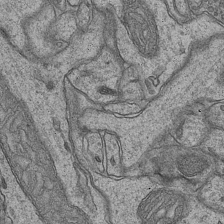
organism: Mouse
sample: CA1 Hippocampus